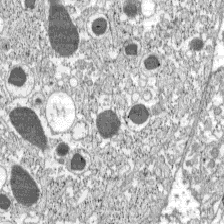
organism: C57BL Mouse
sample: Pancreatic islet